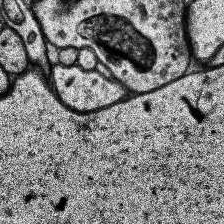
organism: Human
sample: Temporal Lobe